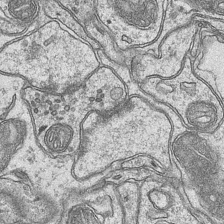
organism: Mouse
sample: CA1 Hippocampus